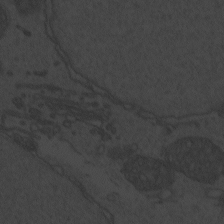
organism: Zebrafish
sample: Macrophage infected with Toxoplasma gondii